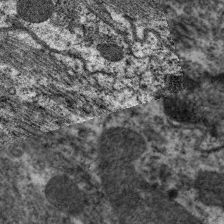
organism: C. elegans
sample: Pharynx